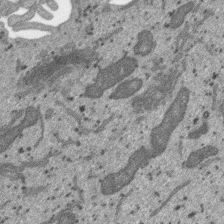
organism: Human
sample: Lung epithelial cells infected with SARS-CoV-2